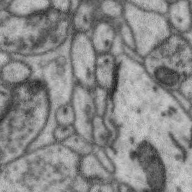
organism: Zebra finch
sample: Brain